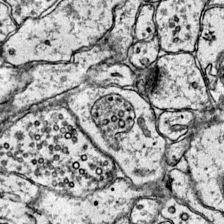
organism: Mouse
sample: Primary visual cortex